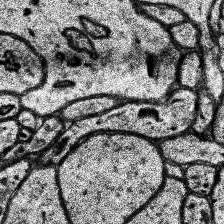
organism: Human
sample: Temporal Lobe